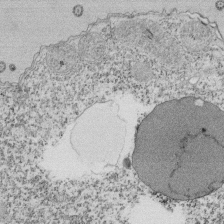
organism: Tetrahymena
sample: Cilia in tetrahymena